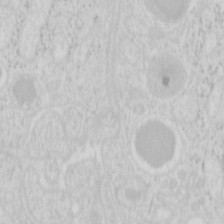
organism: Mouse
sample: Pancreas